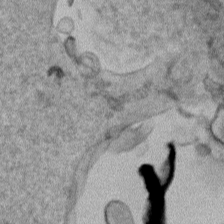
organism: Human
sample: Mitochondria in HCT116 cells